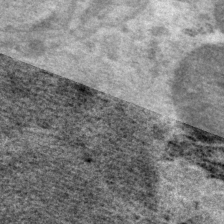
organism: P. pacificus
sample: Pharynx